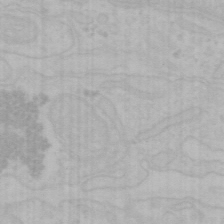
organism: Mouse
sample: Choroid plexus